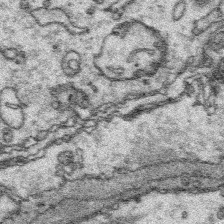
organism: Platynereis dumerilii